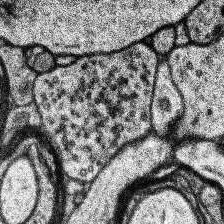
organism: Human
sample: Temporal Lobe